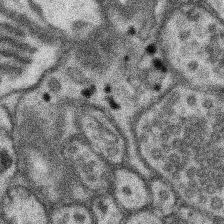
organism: Mouse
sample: Somatosensory cortex neuropil